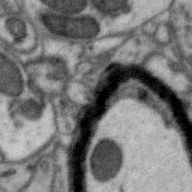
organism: Zebra finch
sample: Brain